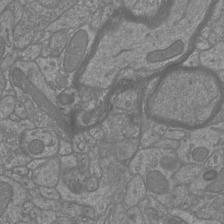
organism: Mouse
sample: Cortical neurons